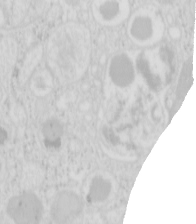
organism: Mouse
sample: Pancreas